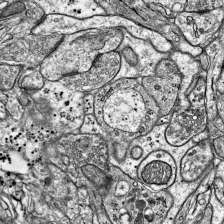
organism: Mouse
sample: Visual Cortex